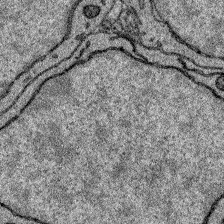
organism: Zebrafish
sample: Larval olfactory bulb